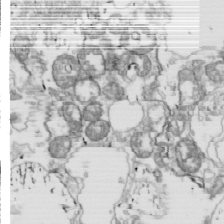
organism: Drosophila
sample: Cell division; meiosis; drosophila spermatocytes